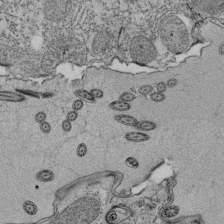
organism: Tetrahymena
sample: Cilia in tetrahymena